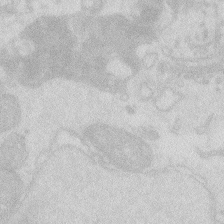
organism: Zebrafish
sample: Macrophage